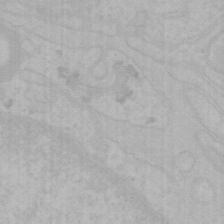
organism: Mouse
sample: Choroid plexus